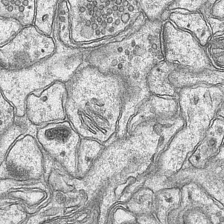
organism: Mouse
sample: CA1 Hippocampus